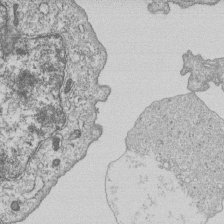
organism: Human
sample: MDA-MB-231 cells